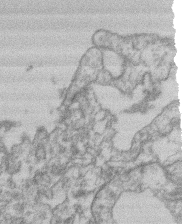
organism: Mouse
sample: T cell stromal cell synapse